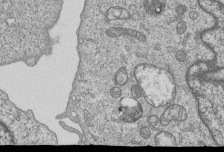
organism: Human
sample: MDA-MB-231 cells